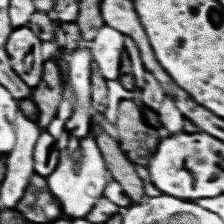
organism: Human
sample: Temporal Lobe